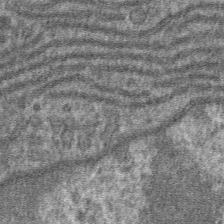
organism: Mouse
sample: Mouse hepatocytes